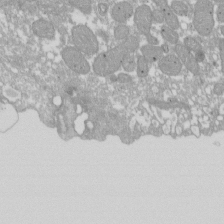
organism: Xenopus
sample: Cilia; centrioles in frog embryo cells